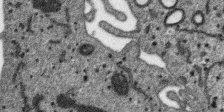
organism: Human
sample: Lung epithelial cells infected with SARS-CoV-2